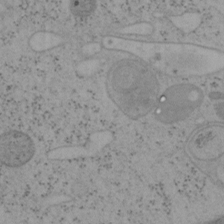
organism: Mouse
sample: OT-I killer T cells with ID8 ovarian cancer cells